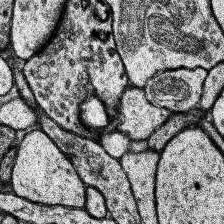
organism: Human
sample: Temporal Lobe